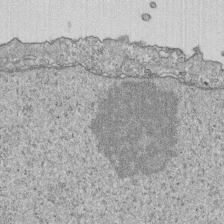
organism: Human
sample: HeLa cell HIV synapse